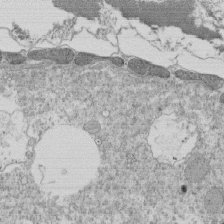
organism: Tetrahymena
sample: Cilia in tetrahymena